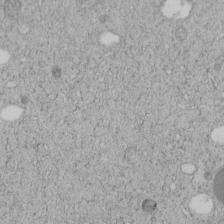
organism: C. elegans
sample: C. elegans embryo early stage